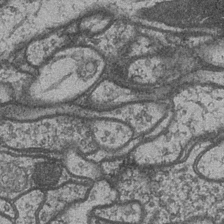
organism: Drosophila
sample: Optic medulla